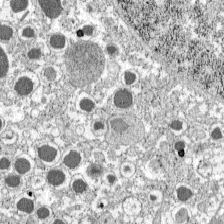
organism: C57BL Mouse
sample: Pancreatic islet